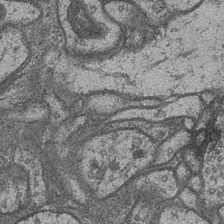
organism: Drosophila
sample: Optic medulla